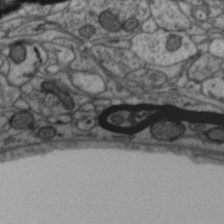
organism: Zebra finch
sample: Brain